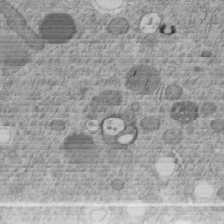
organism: C. elegans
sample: C. elegans embryo early stage